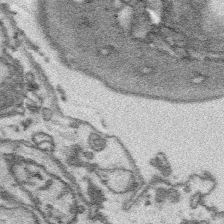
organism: Platynereis dumerilii